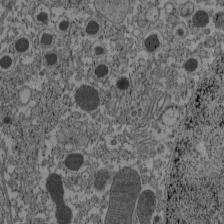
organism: C57BL Mouse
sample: Pancreatic islet